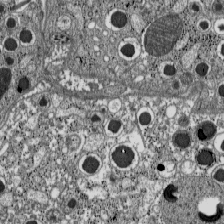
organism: C57BL Mouse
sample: Pancreatic islet